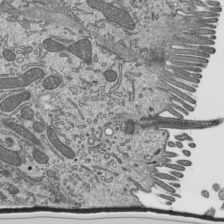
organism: Mouse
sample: Mouse epididymis efferent ductule cilia